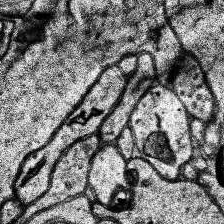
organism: Human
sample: Temporal Lobe